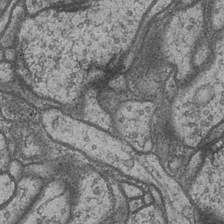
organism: Drosophila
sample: Optic medulla